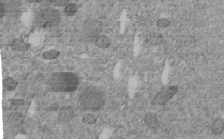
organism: C. elegans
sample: C. elegans embryo early stage